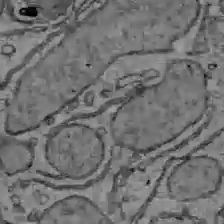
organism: C57BL Mouse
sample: Liver